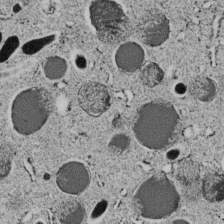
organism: C. elegans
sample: C. elegans embryo early stage